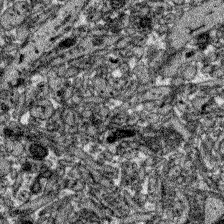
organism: Zebrafish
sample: Larval olfactory bulb